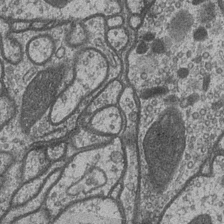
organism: Drosophila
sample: Optic medulla